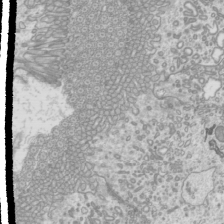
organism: Mouse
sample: Cilia; mouse epididymis